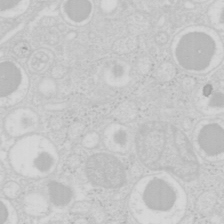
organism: Mouse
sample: Pancreas